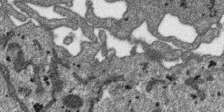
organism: Human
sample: Lung epithelial cells infected with SARS-CoV-2